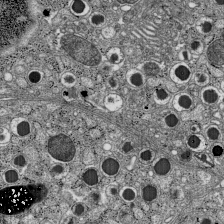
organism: C57BL Mouse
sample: Pancreatic islet